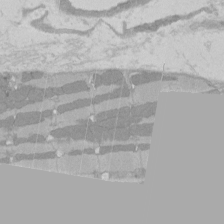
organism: Rat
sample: Left ventricle